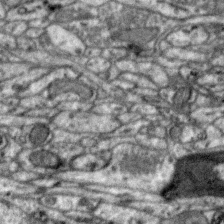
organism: Zebra finch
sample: Brain